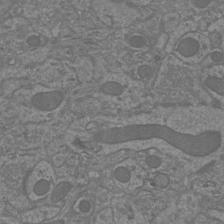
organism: Mouse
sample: Cortical neurons